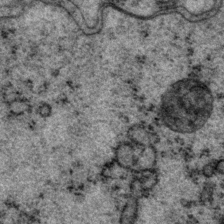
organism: P. pacificus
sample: Pharynx